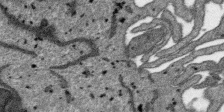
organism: Human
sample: Lung epithelial cells, uninfected (mock) control